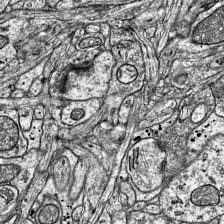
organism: Mouse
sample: Visual Cortex